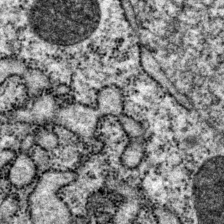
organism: P. pacificus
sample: Pharynx